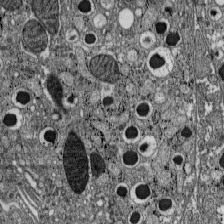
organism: C57BL Mouse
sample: Pancreatic islet